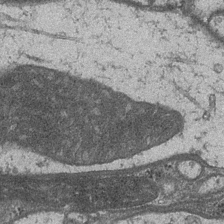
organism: Drosophila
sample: Optic medulla